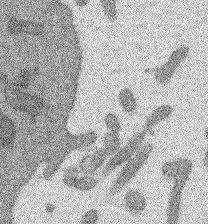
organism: Human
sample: HeLa cells